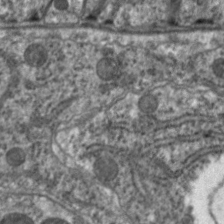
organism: C. elegans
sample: Pharynx